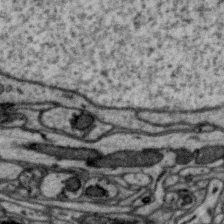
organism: Zebra finch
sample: Brain